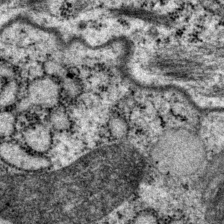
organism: P. pacificus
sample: Pharynx